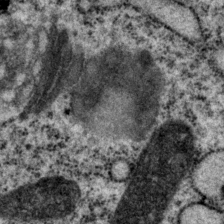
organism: P. pacificus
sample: Pharynx